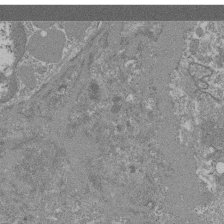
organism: Mouse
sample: Glomerulus